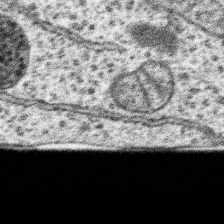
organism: Human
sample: HeLa cells